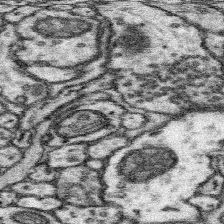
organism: Mouse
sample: Somatosensory cortex neuropil